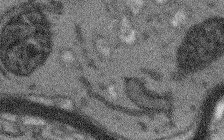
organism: Arabidopsis thaliana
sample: Root tip